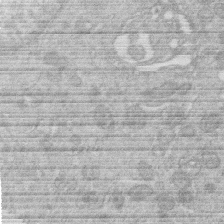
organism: Human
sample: Macrophage cells